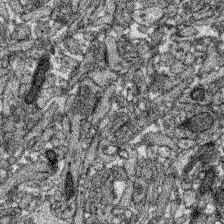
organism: Zebrafish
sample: Larval olfactory bulb